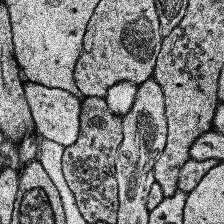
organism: Human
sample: Temporal Lobe